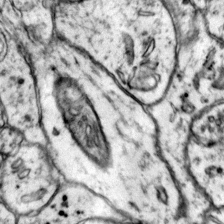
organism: Mouse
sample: Primary visual cortex